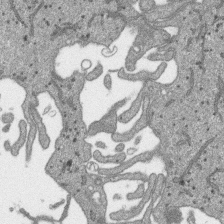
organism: Human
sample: Lung epithelial cells infected with SARS-CoV-2